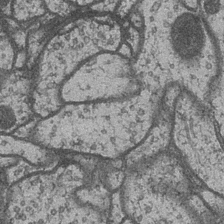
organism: Drosophila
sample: Optic medulla